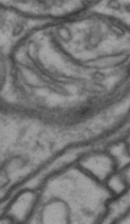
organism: Drosophila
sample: Brain